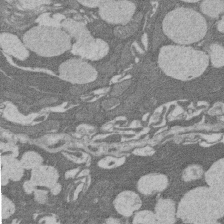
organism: Rat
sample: Salivary granule